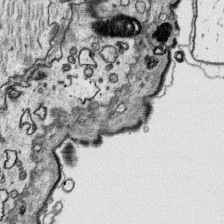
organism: Platynereis dumerilii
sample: Parapodia